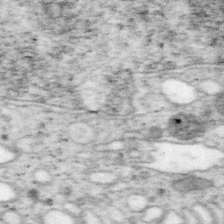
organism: Mouse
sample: OT-I killer T cells with ID8 ovarian cancer cells